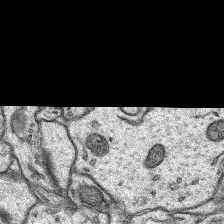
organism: Rat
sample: Hippocampus